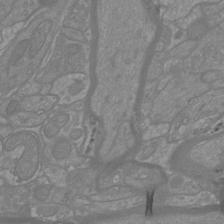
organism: Mouse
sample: Cortical neurons